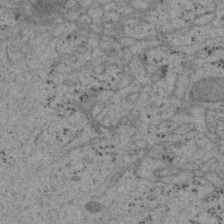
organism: Human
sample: HeLa cells